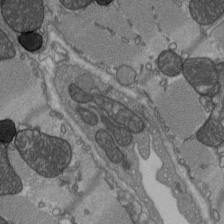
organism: C57BL Mouse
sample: Heart